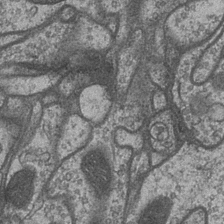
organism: Drosophila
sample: Optic medulla